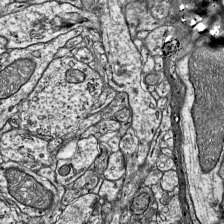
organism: Mouse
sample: Visual Cortex